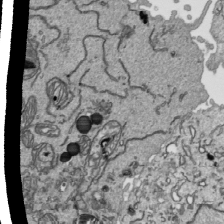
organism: Human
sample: Mitochondria in HCT116 cells